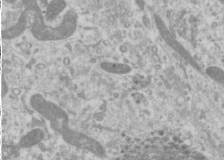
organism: Human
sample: Cilia; basal body in RPE cells